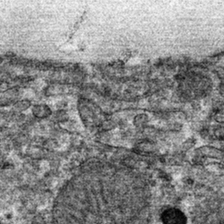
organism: Mouse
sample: Mouse hepatocytes